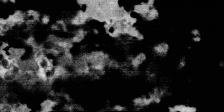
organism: Human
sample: Lung epithelial cells, uninfected (mock) control